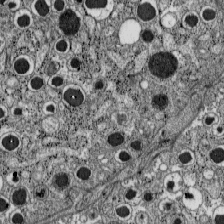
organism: C57BL Mouse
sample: Pancreatic islet